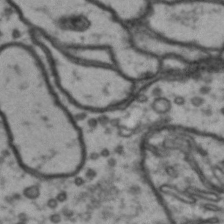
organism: Drosophila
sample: Brain